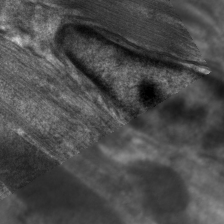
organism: C. elegans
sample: Pharynx